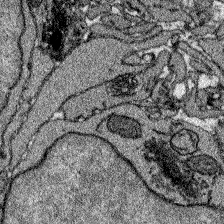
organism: Zebrafish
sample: Larval olfactory bulb